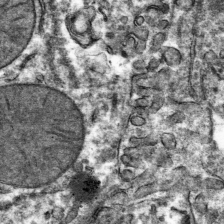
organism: Mouse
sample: Mouse hepatocytes